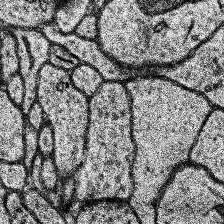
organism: Human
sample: Temporal Lobe